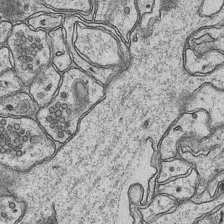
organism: Mouse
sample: CA1 Hippocampus